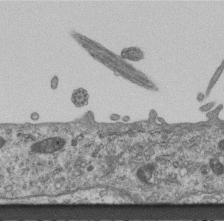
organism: Mouse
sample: Centriole in ependymal cells